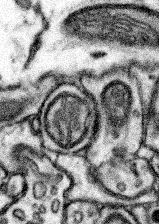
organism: Mouse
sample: Somatosensory cortex neuropil